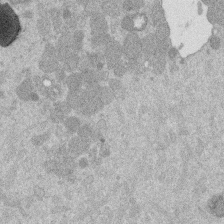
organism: Mouse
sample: Dividing mouse embryo 1 cell stage